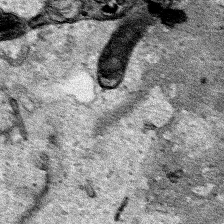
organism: Human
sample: Mitochondria in HCT116 cells